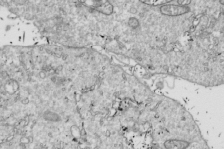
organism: Drosophila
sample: Cell division; meiosis; drosophila spermatocytes